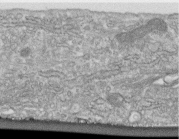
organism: Human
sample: Centriole in fibroblast cells